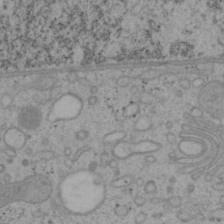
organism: Human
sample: HeLa cells